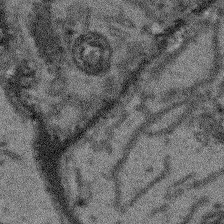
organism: Arabidopsis thaliana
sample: Root tip